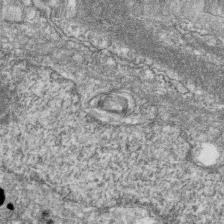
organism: Zebrafish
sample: Cilia; retinal pigment epithelium